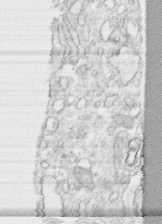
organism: Human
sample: CRL-1474